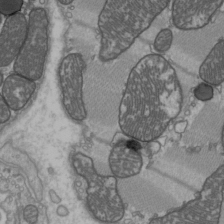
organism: C57BL Mouse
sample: Heart